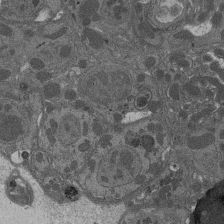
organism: Drosophila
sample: Antenna